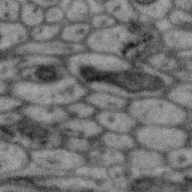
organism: Zebra finch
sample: Brain